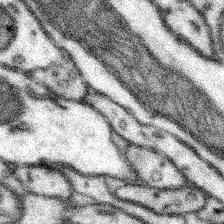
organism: Mouse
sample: Somatosensory cortex neuropil